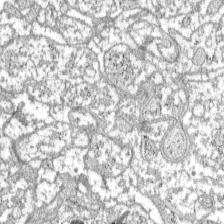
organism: C57BL Mouse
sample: Pancreatic islet